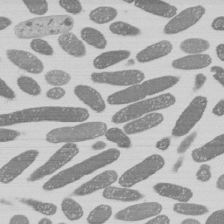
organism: E. coli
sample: Bacterial nucleoid